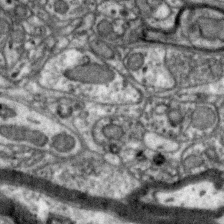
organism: Zebra finch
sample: Brain